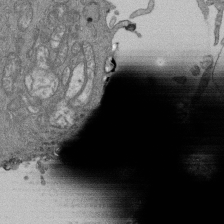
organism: Human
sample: Retinal organoid Rod and Cone cells